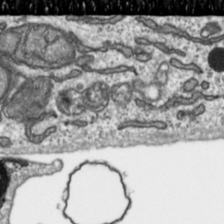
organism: Toxoplasma gondii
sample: Parasites in a vacuole inside a host cell